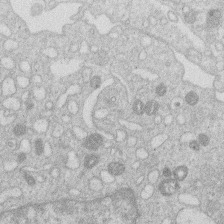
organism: Human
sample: Macrophage cells